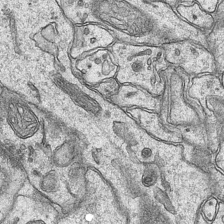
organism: Mouse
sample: CA1 Hippocampus